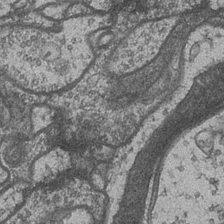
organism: Drosophila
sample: Optic medulla